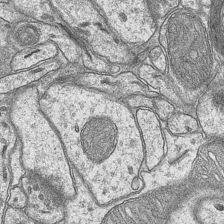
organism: Mouse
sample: CA1 Hippocampus